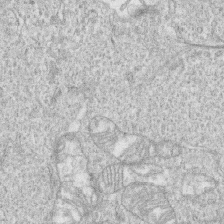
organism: Human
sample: HeLa cell HIV synapse